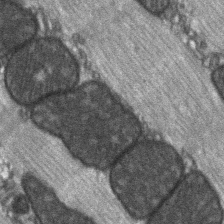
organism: C57BL Mouse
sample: Soleus